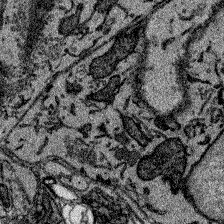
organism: Zebrafish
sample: Larval olfactory bulb